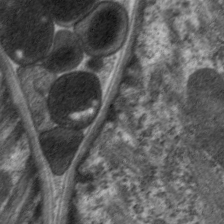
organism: C. elegans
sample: Pharynx